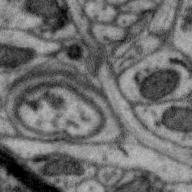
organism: Zebra finch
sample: Brain